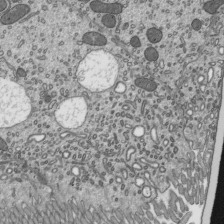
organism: Mouse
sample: Mouse epididymis efferent ductule cilia